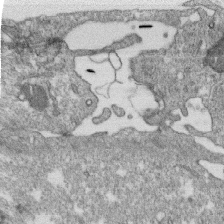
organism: African green monkey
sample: Vero E6 cells infected with SARS-CoV-2